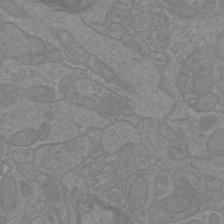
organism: Mouse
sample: Cortical neurons